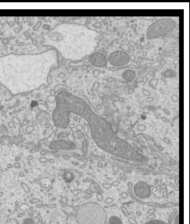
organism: Mouse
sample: Cilia; mouse epididymis